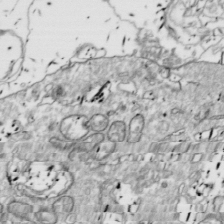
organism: Drosophila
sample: Cell division; meiosis; drosophila spermatocytes